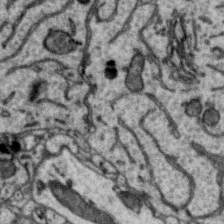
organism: Zebra finch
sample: Brain